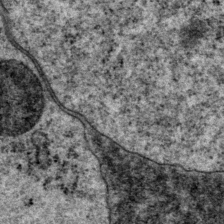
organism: P. pacificus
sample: Pharynx